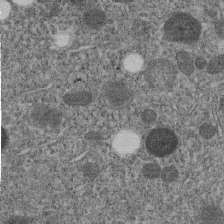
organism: C. elegans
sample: C. elegans embryo early stage